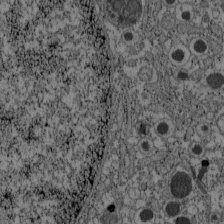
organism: C57BL Mouse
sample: Pancreatic islet